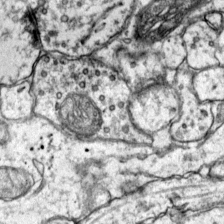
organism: Mouse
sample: Primary visual cortex